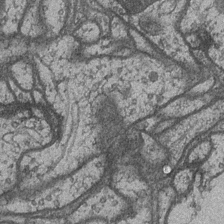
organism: Drosophila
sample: Optic medulla